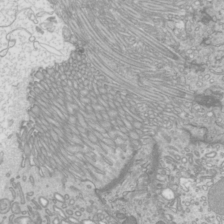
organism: Mouse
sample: Cilia; mouse epididymis